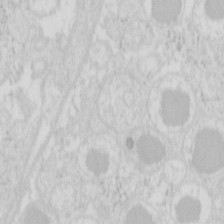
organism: Mouse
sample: Pancreas